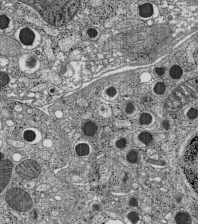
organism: C57BL Mouse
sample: Pancreatic islet